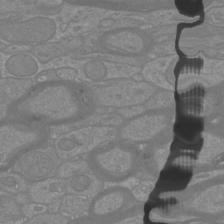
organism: Mouse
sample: Cortical neurons